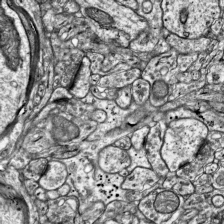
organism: Mouse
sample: Visual Cortex